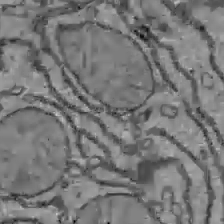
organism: C57BL Mouse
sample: Liver